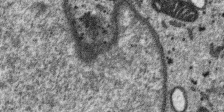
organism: Human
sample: Lung epithelial cells infected with SARS-CoV-2